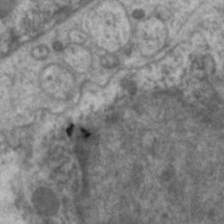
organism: C. elegans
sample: Pharynx